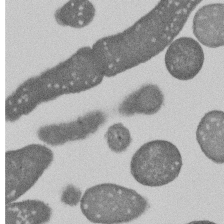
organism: E. coli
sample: Bacterial nucleoid